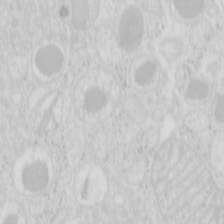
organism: Mouse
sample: Pancreas